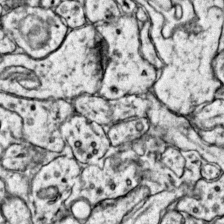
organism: Mouse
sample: Primary visual cortex